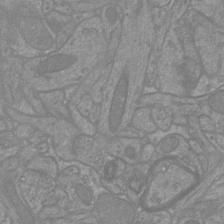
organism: Mouse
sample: Cortical neurons